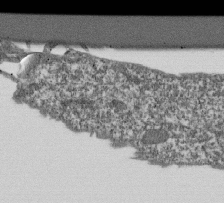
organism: Dictyostelium discoideum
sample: Dictyostelium multivesicular bodies